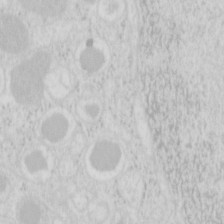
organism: Mouse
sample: Pancreas